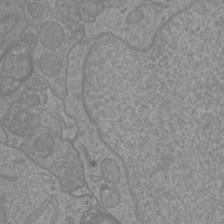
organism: Mouse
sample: Cortical neurons